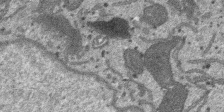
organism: Human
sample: Lung epithelial cells infected with SARS-CoV-2